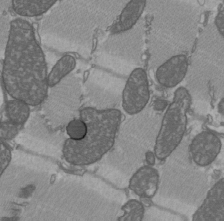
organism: C57BL Mouse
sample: Heart